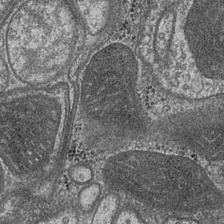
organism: Drosophila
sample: Optic medulla